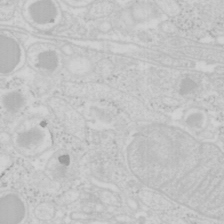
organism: Mouse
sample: Pancreas